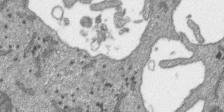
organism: Human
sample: Lung epithelial cells infected with SARS-CoV-2